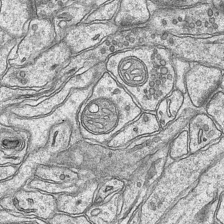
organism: Mouse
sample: CA1 Hippocampus